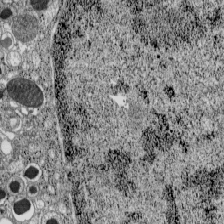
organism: C57BL Mouse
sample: Pancreatic islet